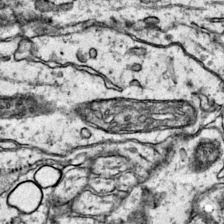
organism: Mouse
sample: Primary visual cortex